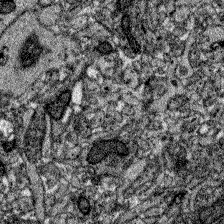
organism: Zebrafish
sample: Larval olfactory bulb